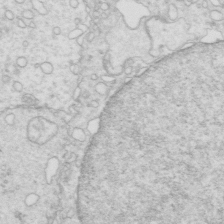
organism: Mouse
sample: Multiciliated cells